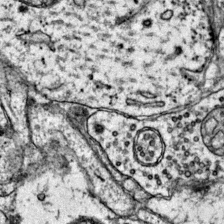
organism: Mouse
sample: Primary visual cortex